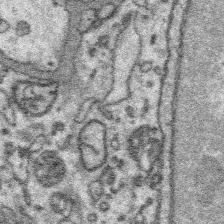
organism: Platynereis dumerilii